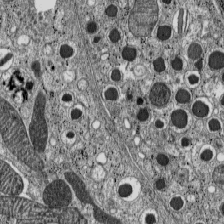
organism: C57BL Mouse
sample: Pancreatic islet